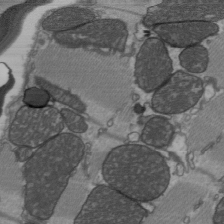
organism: C57BL Mouse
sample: Heart